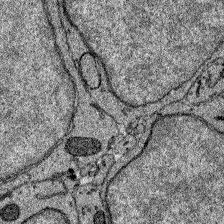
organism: Zebrafish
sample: Larval olfactory bulb